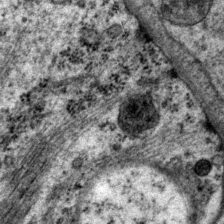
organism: P. pacificus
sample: Pharynx